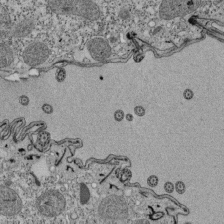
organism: Tetrahymena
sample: Cilia in tetrahymena